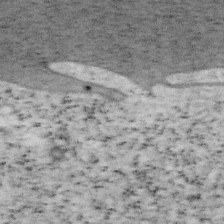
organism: Mouse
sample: OT-I killer T cells with ID8 ovarian cancer cells